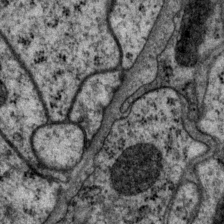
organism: P. pacificus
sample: Pharynx